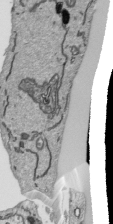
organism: Human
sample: Mitochondria in HCT116 cells